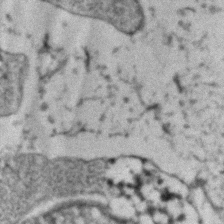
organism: Zebrafish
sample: Zebrafish embryo